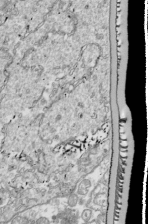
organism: Drosophila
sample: Cell division; meiosis; drosophila spermatocytes